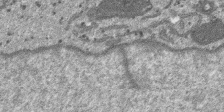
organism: Human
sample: Lung epithelial cells infected with SARS-CoV-2